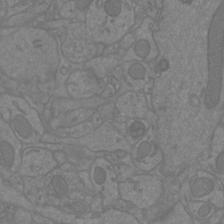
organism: Mouse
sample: Cortical neurons